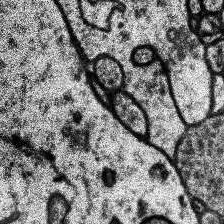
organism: Human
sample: Temporal Lobe